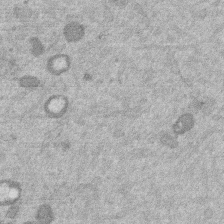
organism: Mouse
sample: Dividing mouse embryo 1 cell stage